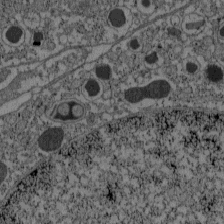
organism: C57BL Mouse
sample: Pancreatic islet